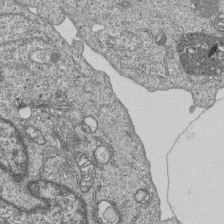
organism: Human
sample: MDA-MB-231 cells